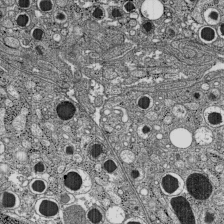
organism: C57BL Mouse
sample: Pancreatic islet